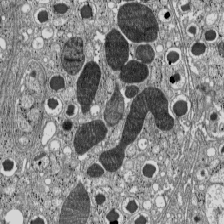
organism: C57BL Mouse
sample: Pancreatic islet